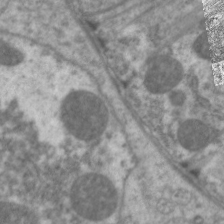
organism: C. elegans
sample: Pharynx